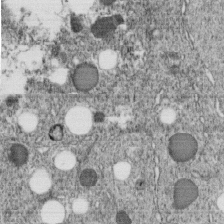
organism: C. elegans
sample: C. elegans embryo early stage